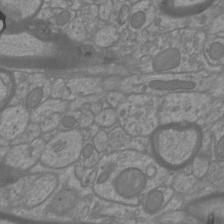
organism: Mouse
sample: Cortical neurons